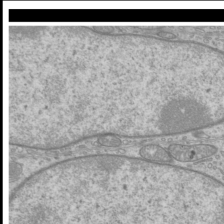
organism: Mouse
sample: Cilia; mouse epididymis